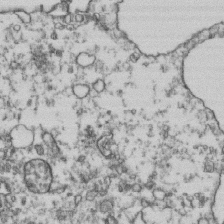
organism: Human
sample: Activated Jurkat CD4+ T cells